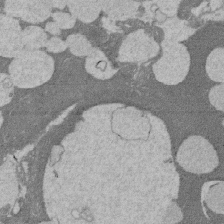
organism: Rat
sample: Salivary granule